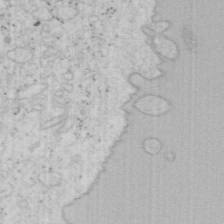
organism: Human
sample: HeLa cells